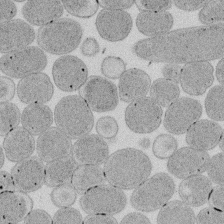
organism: E. coli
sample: Bacterial nucleoid